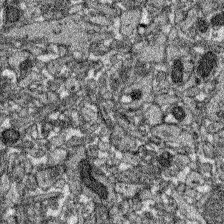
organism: Zebrafish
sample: Larval olfactory bulb